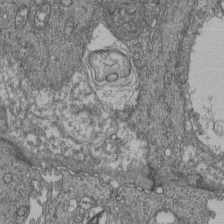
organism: Human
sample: Retinal organoid Rod and Cone cells